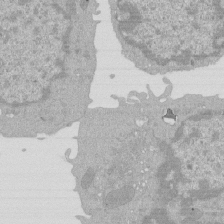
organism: Mouse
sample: Activated Pmel transgenic CD8+ T Cells